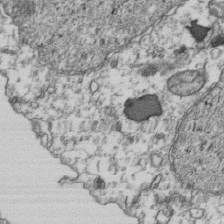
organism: Human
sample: Activated Jurkat CD4+ T cells